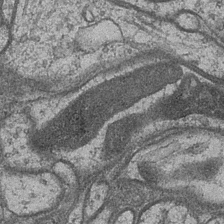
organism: Drosophila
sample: Optic medulla